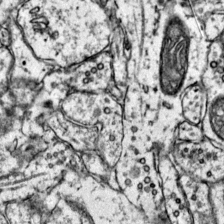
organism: Mouse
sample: Primary visual cortex